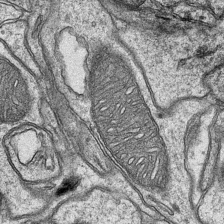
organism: Mouse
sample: CA1 Hippocampus